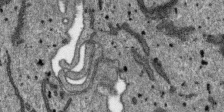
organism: Human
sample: Lung epithelial cells, uninfected (mock) control